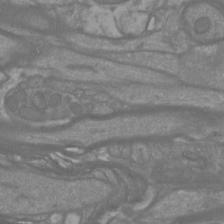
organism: Mouse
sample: Cortical neurons